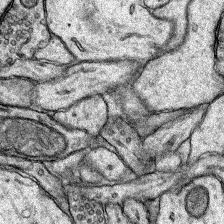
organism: Rat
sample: Hippocampus